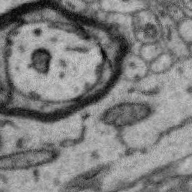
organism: Zebra finch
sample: Brain